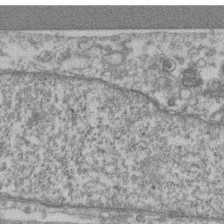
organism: Mouse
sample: T cell stromal cell synapse